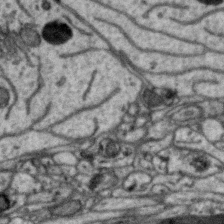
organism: Zebra finch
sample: Brain